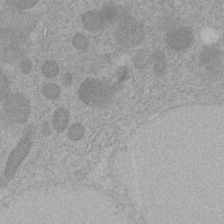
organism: C. elegans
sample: C. elegans embryo early stage